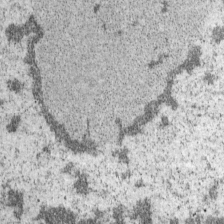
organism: Mouse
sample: OT-I killer T cells with ID8 ovarian cancer cells